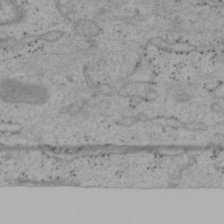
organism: Human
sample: HeLa cells